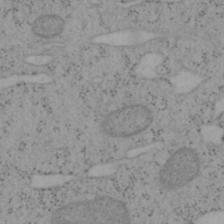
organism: Mouse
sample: OT-I killer T cells with ID8 ovarian cancer cells